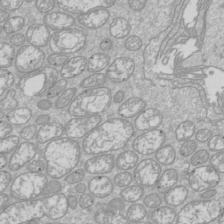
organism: Drosophila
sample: Cell division; meiosis; drosophila spermatocytes